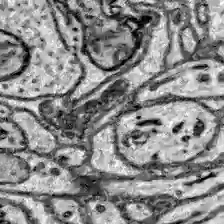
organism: Zebrafish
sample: Brain